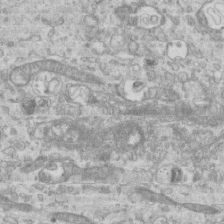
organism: Mouse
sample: Centriole in ependymal cells